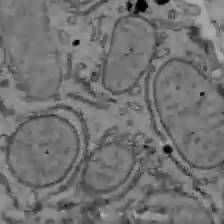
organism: C57BL Mouse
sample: Liver